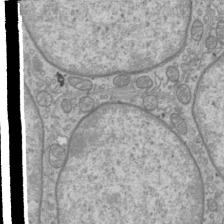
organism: Mouse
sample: Cilia; mouse epididymis